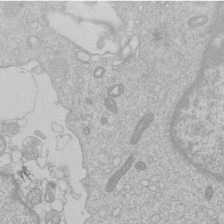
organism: Human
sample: Macrophage cells